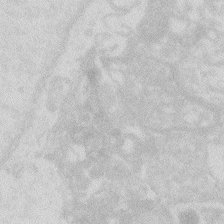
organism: Zebrafish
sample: Macrophage